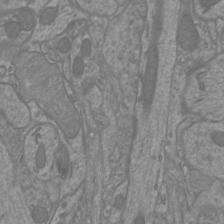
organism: Mouse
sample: Cortical neurons